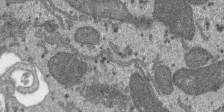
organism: Human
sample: Lung epithelial cells infected with SARS-CoV-2